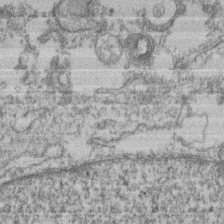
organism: Mouse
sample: T cell stromal cell synapse